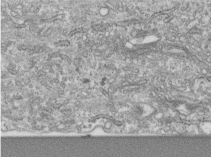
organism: Human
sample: Centriole in RPE cells